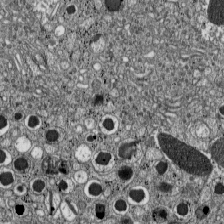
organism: C57BL Mouse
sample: Pancreatic islet